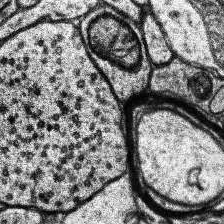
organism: Human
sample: Temporal Lobe